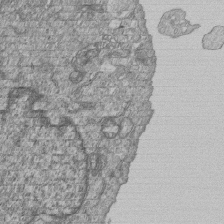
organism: Human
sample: MDA-MB-231 cells